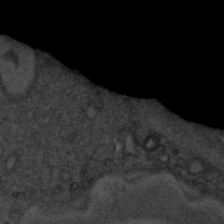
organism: C. elegans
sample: C. elegans embryo